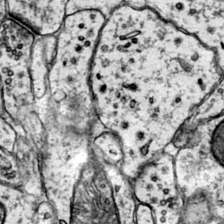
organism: Mouse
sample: Primary visual cortex